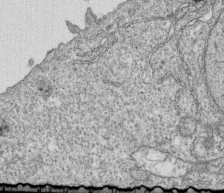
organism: Human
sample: HeLa cell HIV synapse